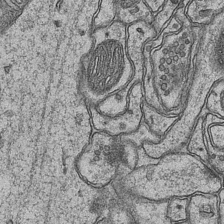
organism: Mouse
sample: CA1 Hippocampus